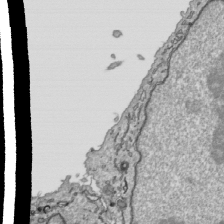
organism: Human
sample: Mitochondria in HCT116 cells